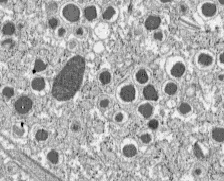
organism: C57BL Mouse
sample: Pancreatic islet